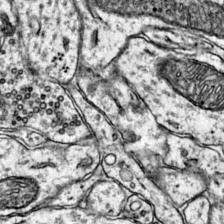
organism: Mouse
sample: Primary visual cortex